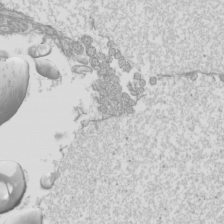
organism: Mouse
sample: Cilia; mouse epididymis